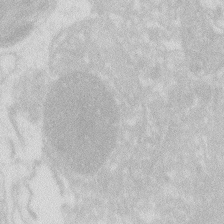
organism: Zebrafish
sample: Macrophage